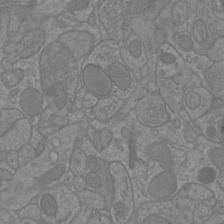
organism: Mouse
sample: Cortical neurons